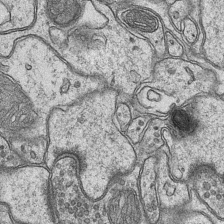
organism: Mouse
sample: CA1 Hippocampus